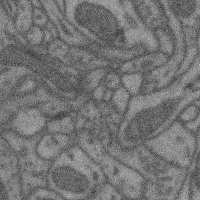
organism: Mouse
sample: Cerebral cortex